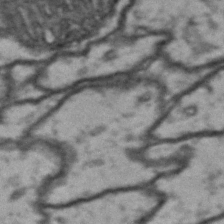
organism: Drosophila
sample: Brain